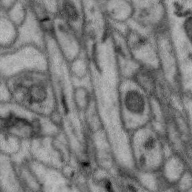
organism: Zebra finch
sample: Brain